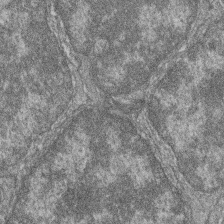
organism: Zebrafish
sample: Cilia; retinal pigment epithelium